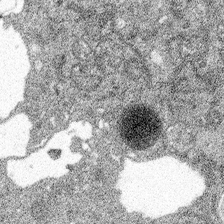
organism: Spongilla lacustris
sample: Multiple